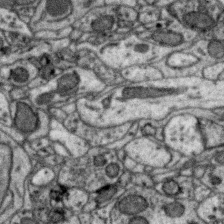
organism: Zebra finch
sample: Brain